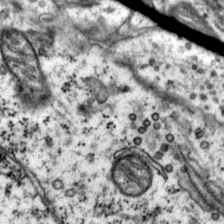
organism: Mouse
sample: Primary visual cortex